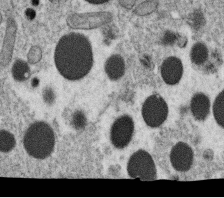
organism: C. elegans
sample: C. elegans oocyte; sperm cells